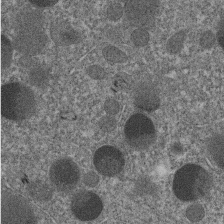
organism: C. elegans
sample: C. elegans embryo early stage